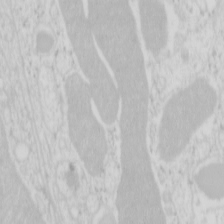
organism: Mouse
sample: Pancreas